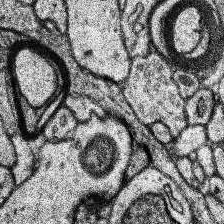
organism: Human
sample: Temporal Lobe